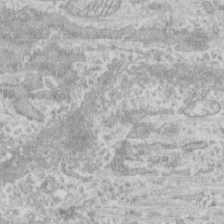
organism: Human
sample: CRL-1474